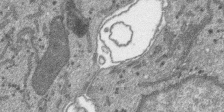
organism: Human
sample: Lung epithelial cells infected with SARS-CoV-2